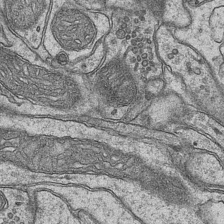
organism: Mouse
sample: CA1 Hippocampus